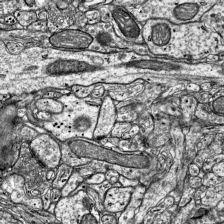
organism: Mouse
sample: Visual Cortex